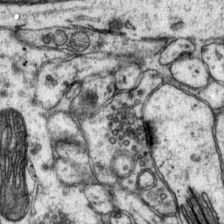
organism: Mouse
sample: Primary visual cortex